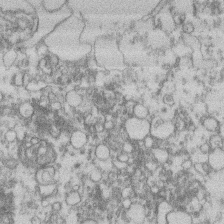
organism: Mouse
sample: T cell stromal cell synapse